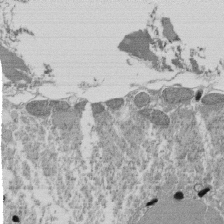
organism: Tetrahymena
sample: Cilia in tetrahymena